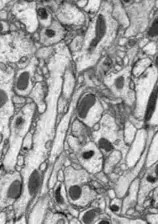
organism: Drosophila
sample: Optic lobe